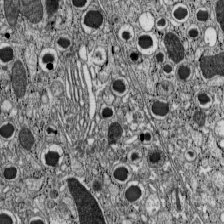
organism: C57BL Mouse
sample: Pancreatic islet